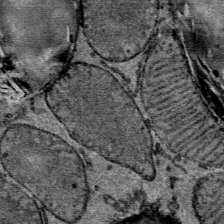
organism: Mouse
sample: Mouse Salivary gland